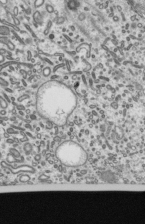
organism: Mouse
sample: Mouse epididymis efferent ductule cilia